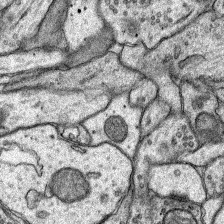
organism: Rat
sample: Hippocampus